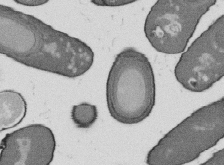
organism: B. subtilis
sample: Bacterial spore